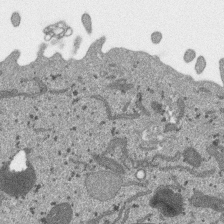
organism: Human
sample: Lung epithelial cells infected with SARS-CoV-2